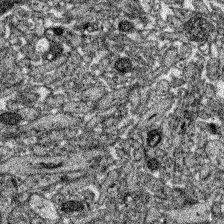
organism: Zebrafish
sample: Larval olfactory bulb